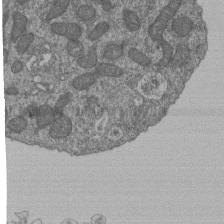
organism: Human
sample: Retinal organoid Rod and Cone cells